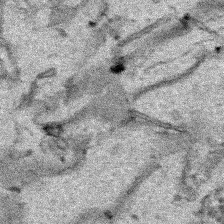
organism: Human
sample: Mitochondria in HCT116 cells